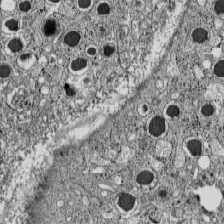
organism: C57BL Mouse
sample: Pancreatic islet